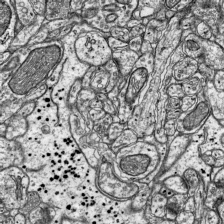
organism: Mouse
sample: Visual Cortex